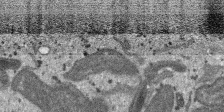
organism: Human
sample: Lung epithelial cells infected with SARS-CoV-2